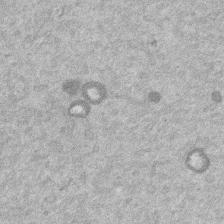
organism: Mouse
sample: Dividing mouse embryo 1 cell stage